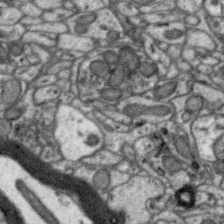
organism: Zebra finch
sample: Brain